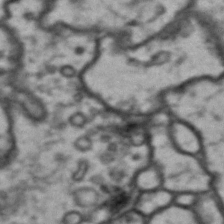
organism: Drosophila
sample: Brain